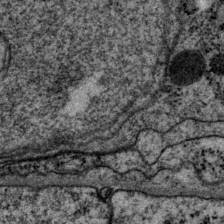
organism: P. pacificus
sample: Pharynx